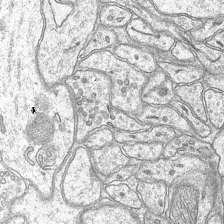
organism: Mouse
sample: CA1 Hippocampus